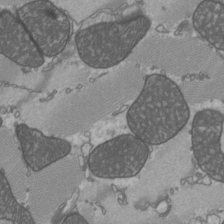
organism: C57BL Mouse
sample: Heart